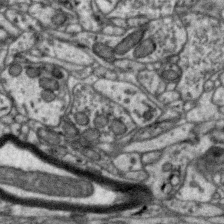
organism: Zebra finch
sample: Brain